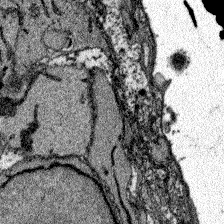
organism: Zebrafish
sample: Larval olfactory bulb